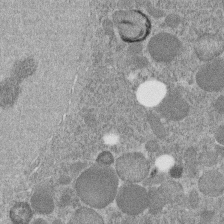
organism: C. elegans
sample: C. elegans embryo early stage